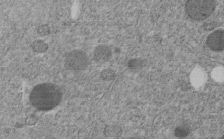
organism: C. elegans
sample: C. elegans embryo early stage